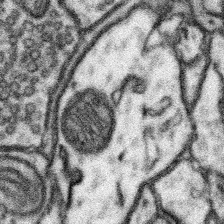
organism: Mouse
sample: Somatosensory cortex neuropil